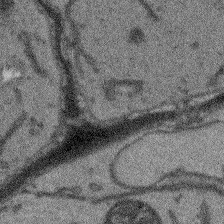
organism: Arabidopsis thaliana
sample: Root tip